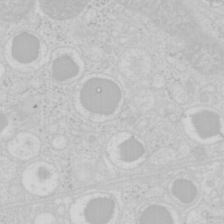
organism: Mouse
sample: Pancreas